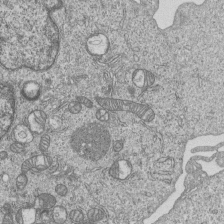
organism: Human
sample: MDA-MB-231 cells